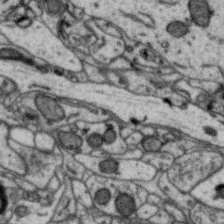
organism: Zebra finch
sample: Brain